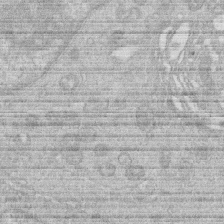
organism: Human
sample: Macrophage cells